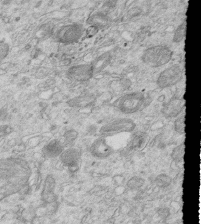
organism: Mouse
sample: Multiciliated cells